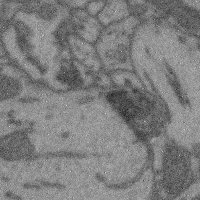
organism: Mouse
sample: Cerebral cortex